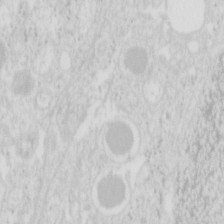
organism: Mouse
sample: Pancreas